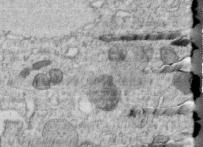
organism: C. elegans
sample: C. elegans embryo early stage